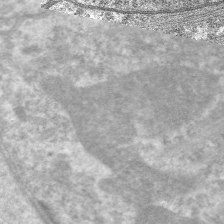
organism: C. elegans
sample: Pharynx